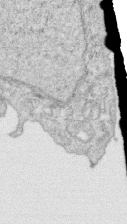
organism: Human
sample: HeLa cell HIV synapse